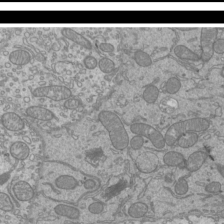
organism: Mouse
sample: Cilia; mouse epididymis